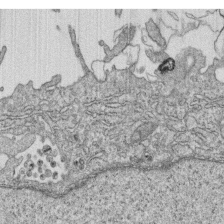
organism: Human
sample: HeLa cell HIV synapse